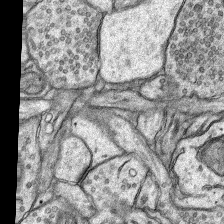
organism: Rat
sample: Hippocampus